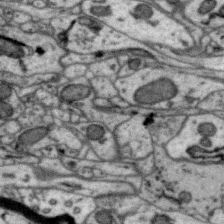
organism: Zebra finch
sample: Brain